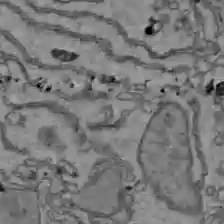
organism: C57BL Mouse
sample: Liver